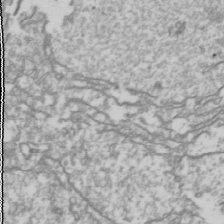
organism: Drosophila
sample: Cell division; meiosis; drosophila spermatocytes